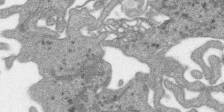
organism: Human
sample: Lung epithelial cells infected with SARS-CoV-2